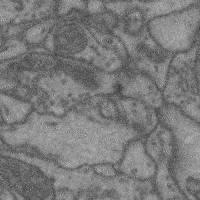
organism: Mouse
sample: Cerebral cortex